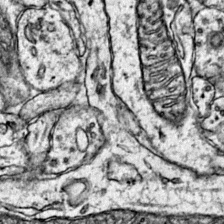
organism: Mouse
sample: Primary visual cortex